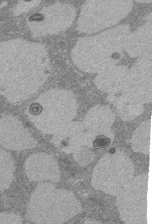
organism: Rat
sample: Salivary granule